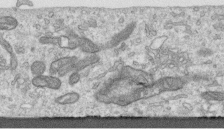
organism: Human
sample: Centriole in RPE cells